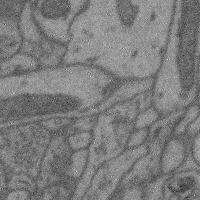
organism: Mouse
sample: Cerebral cortex